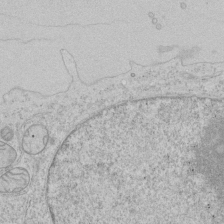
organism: Human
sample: Mitochondria in HCT116 cells